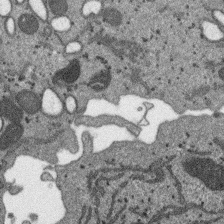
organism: Human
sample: Lung epithelial cells infected with SARS-CoV-2